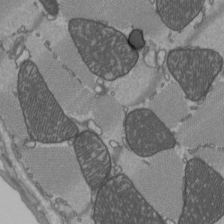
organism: C57BL Mouse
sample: Heart